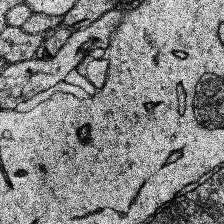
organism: Human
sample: Temporal Lobe